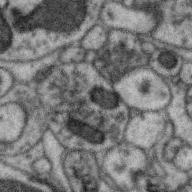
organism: Zebra finch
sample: Brain